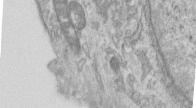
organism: Human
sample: Centriole in RPE cells